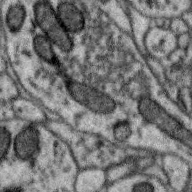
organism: Zebra finch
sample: Brain